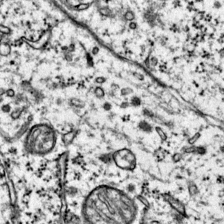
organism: Mouse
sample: Primary visual cortex